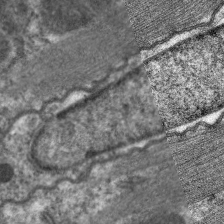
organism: C. elegans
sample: Pharynx